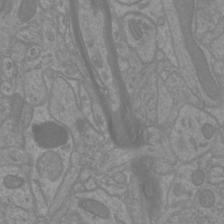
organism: Mouse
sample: Cortical neurons